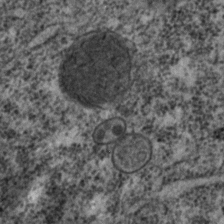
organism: C. elegans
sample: C. elegans embryo